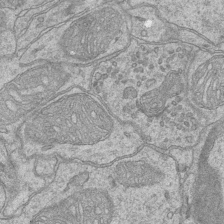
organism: Mouse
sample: CA1 Hippocampus